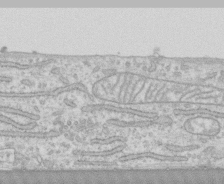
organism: Human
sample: CRL-1474